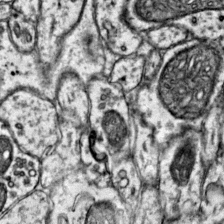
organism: Mouse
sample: Primary visual cortex